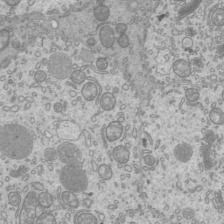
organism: Mouse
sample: Cilia; mouse epididymis